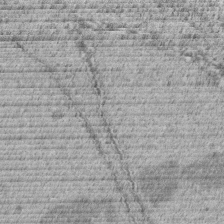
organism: C. elegans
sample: C. elegans embryo early stage